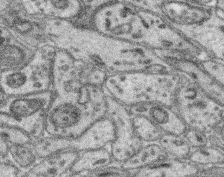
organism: Mouse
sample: Retina